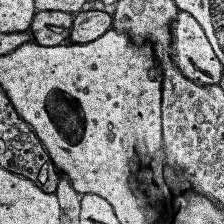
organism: Human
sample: Temporal Lobe